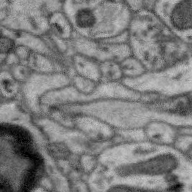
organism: Zebra finch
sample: Brain